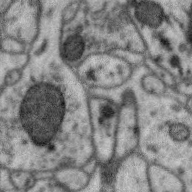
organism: Zebra finch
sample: Brain